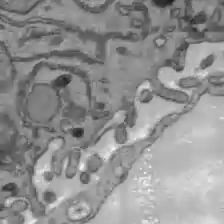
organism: C57BL Mouse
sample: Liver